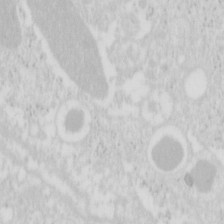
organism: Mouse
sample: Pancreas